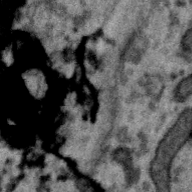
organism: Zebra finch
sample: Brain